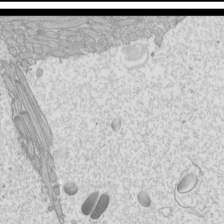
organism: Mouse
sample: Cilia; mouse epididymis